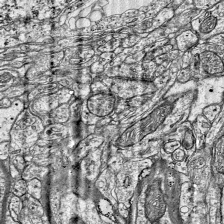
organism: Mouse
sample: Visual Cortex